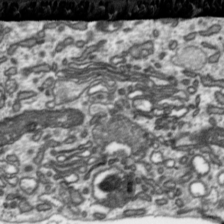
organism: Toxoplasma gondii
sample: Parasites in a vacuole inside a host cell